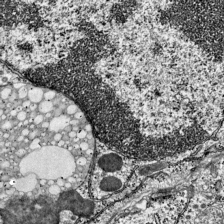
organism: Mouse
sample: Visual Cortex